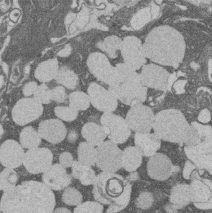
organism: Rat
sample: Salivary granule